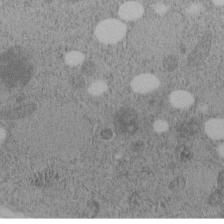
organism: C. elegans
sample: C. elegans embryo early stage